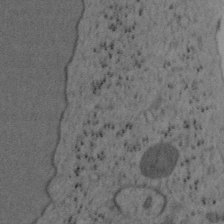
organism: Human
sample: HeLa cells